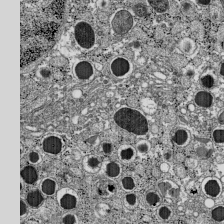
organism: C57BL Mouse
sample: Pancreatic islet